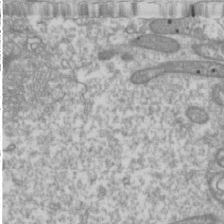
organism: Drosophila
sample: Cell division; meiosis; drosophila spermatocytes